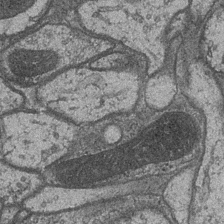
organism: Drosophila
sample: Optic medulla